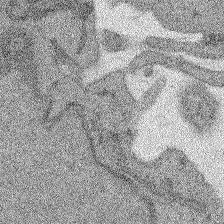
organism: Human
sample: HeLa cells